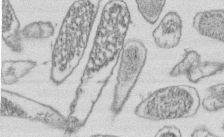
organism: E. coli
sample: Bacterial nucleoid